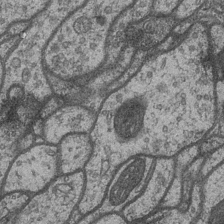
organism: Drosophila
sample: Optic medulla